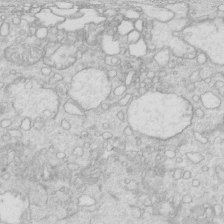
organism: Mouse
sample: Multiciliated cells